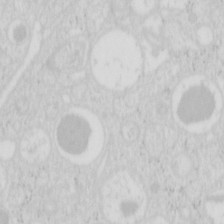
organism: Mouse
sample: Pancreas